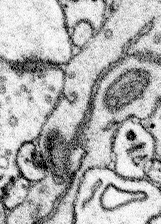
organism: Mouse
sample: Somatosensory cortex neuropil